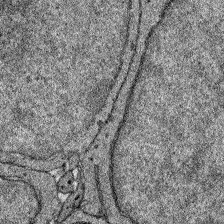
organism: Zebrafish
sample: Larval olfactory bulb